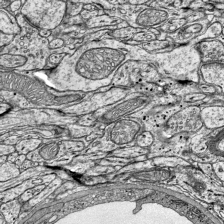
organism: Mouse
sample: Visual Cortex